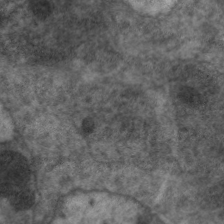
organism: C. elegans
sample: Pharynx